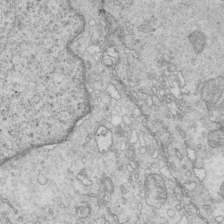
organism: Mouse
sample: Multiciliated cells